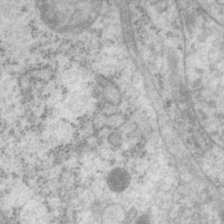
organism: P. pacificus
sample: Pharynx